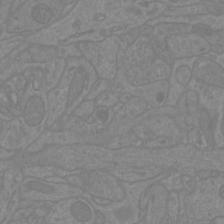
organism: Mouse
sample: Cortical neurons